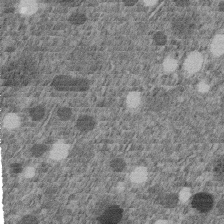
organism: C. elegans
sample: C. elegans embryo early stage